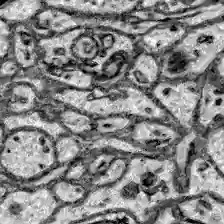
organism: Zebrafish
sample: Brain